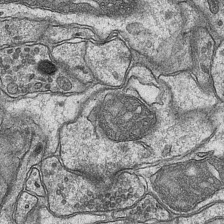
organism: Mouse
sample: CA1 Hippocampus